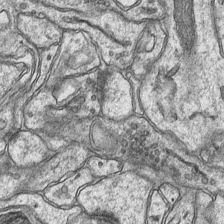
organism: Mouse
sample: CA1 Hippocampus